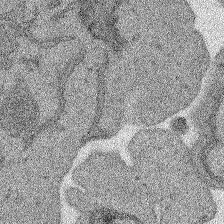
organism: Human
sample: HeLa cells